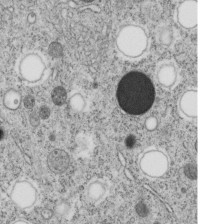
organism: C. elegans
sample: C. elegans embryo early stage